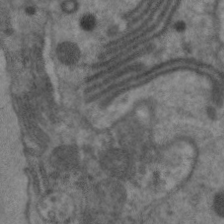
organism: C. elegans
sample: Pharynx